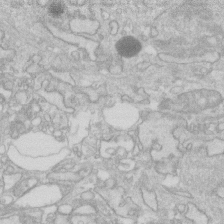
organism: Human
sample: Fibroblast cells